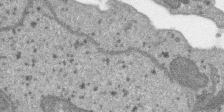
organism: Human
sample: Lung epithelial cells infected with SARS-CoV-2